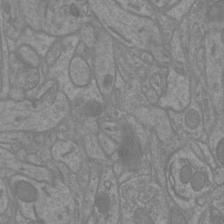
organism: Mouse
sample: Cortical neurons